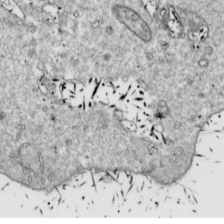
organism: Drosophila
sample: Cell division; meiosis; drosophila spermatocytes